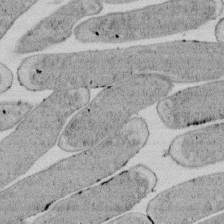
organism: E. coli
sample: Bacterial nucleoid